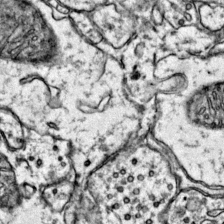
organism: Mouse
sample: Primary visual cortex